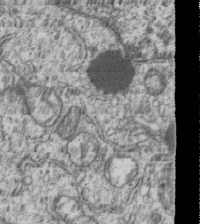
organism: Human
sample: MDA-MB-231 cells